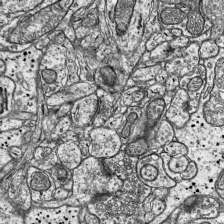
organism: Mouse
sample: Visual Cortex